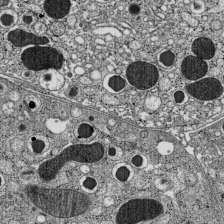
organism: C57BL Mouse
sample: Pancreatic islet